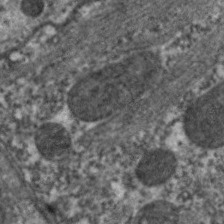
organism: C. elegans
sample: Pharynx